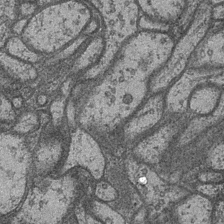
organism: Drosophila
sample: Optic medulla